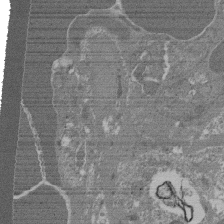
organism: Mouse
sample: Glomerulus